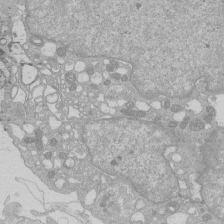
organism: Human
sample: Macrophage cells